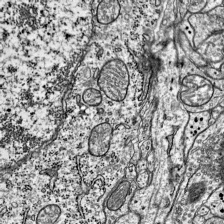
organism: Mouse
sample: Visual Cortex